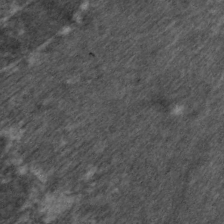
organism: C. elegans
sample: Pharynx